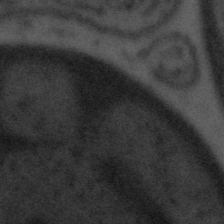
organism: Tuwongella immobilis